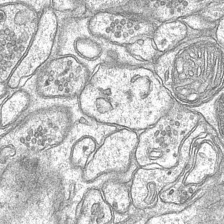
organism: Mouse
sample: CA1 Hippocampus